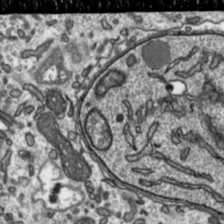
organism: Toxoplasma gondii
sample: Parasites in a vacuole inside a host cell